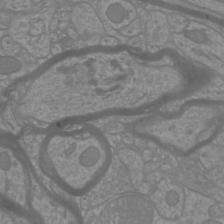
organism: Mouse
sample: Cortical neurons